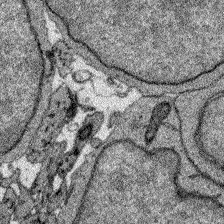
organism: Zebrafish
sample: Larval olfactory bulb